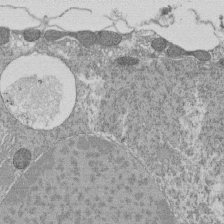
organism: Tetrahymena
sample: Cilia in tetrahymena